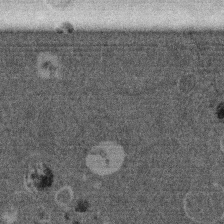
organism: Mouse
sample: Dividing mouse embryo 1 cell stage